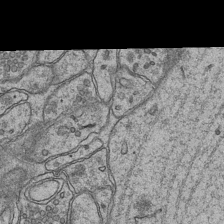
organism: Mouse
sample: CA1 Hippocampus